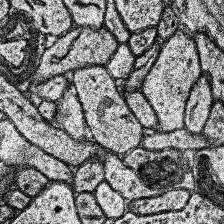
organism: Human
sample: Temporal Lobe